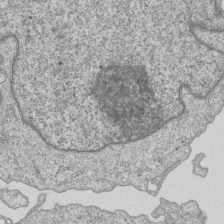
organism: Human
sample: MDA-MB-231 cells